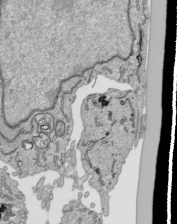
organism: Human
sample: Mitochondria in HCT116 cells